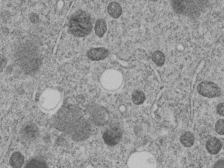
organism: C. elegans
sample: C. elegans embryo early stage